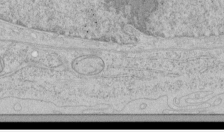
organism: Human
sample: Mitochondria in HCT116 cells